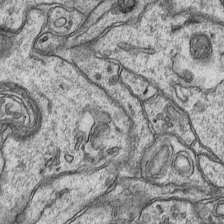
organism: Mouse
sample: CA1 Hippocampus